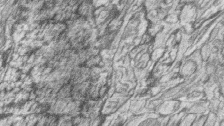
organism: Zebrafish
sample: synaptic ribbons in rod cells and cone cells